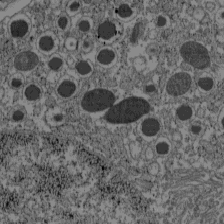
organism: C57BL Mouse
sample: Pancreatic islet